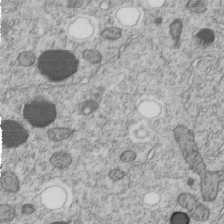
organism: C. elegans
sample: C. elegans embryo early stage